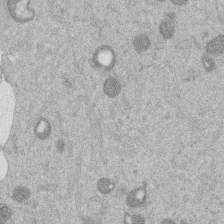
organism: Mouse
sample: Dividing mouse embryo 1 cell stage